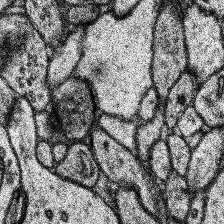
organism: Human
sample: Temporal Lobe